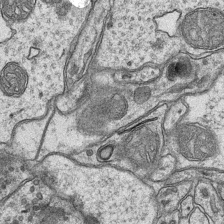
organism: Mouse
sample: CA1 Hippocampus